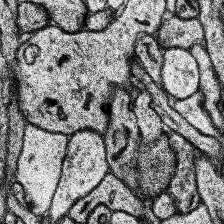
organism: Human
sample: Temporal Lobe